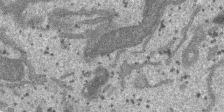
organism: Human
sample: Lung epithelial cells infected with SARS-CoV-2